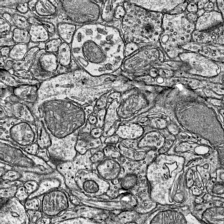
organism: Mouse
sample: Visual Cortex